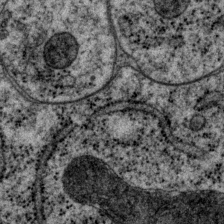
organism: P. pacificus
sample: Pharynx